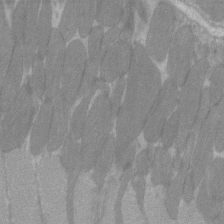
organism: C57BL Mouse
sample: Tibialis anterior muscle cell